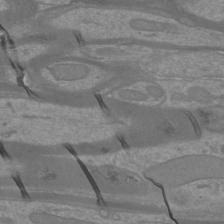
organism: Mouse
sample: Cortical neurons